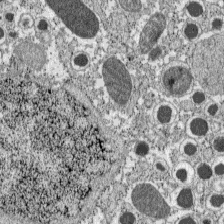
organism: C57BL Mouse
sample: Pancreatic islet